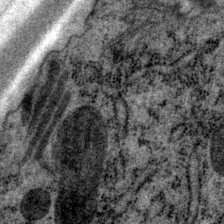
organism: P. pacificus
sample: Pharynx